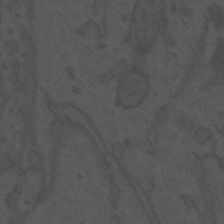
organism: Mouse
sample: Suprachiasmatic nucleus